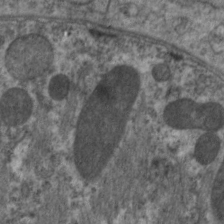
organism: C. elegans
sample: Pharynx